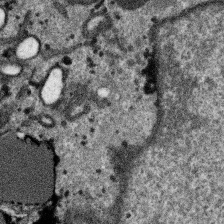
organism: Human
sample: Lung epithelial cells infected with SARS-CoV-2